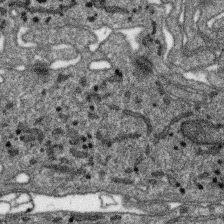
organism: Human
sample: Lung epithelial cells infected with SARS-CoV-2